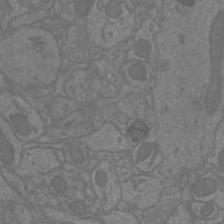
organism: Mouse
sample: Cortical neurons